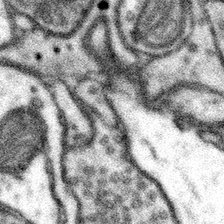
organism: Mouse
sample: Somatosensory cortex neuropil